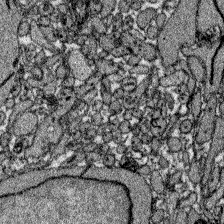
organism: Zebrafish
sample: Larval olfactory bulb